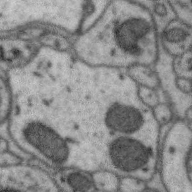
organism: Zebra finch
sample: Brain